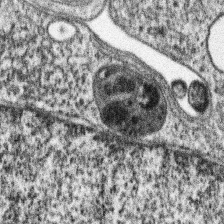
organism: Human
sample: HeLa cells